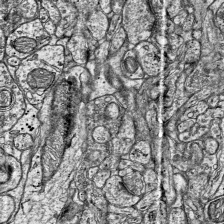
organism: Mouse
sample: Visual Cortex